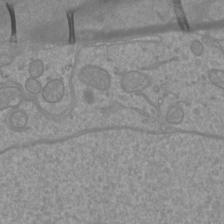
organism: Mouse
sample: Cortical neurons